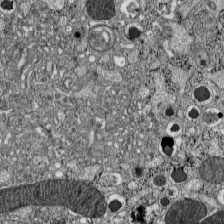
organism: C57BL Mouse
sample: Pancreatic islet